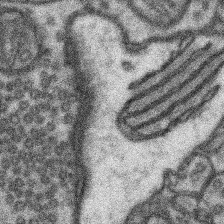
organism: Mouse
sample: Somatosensory cortex neuropil